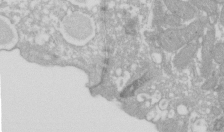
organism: Xenopus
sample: Cilia; centrioles in frog embryo cells